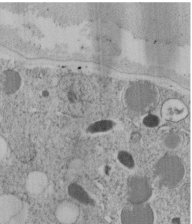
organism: C. elegans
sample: C. elegans embryo early stage